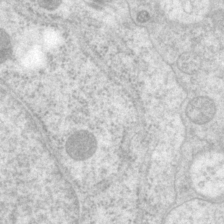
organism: P. pacificus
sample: Pharynx